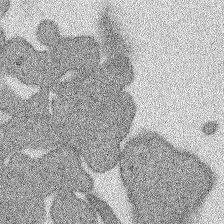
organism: Human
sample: HeLa cells